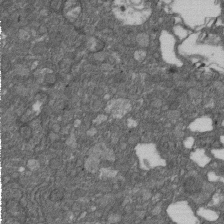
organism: Drosophila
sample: Nephrocyte